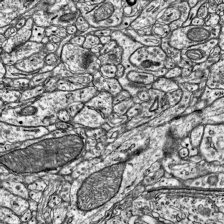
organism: Mouse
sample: Visual Cortex